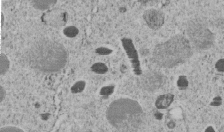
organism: C. elegans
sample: C. elegans embryo early stage